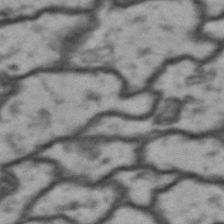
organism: Drosophila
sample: Brain